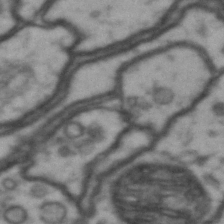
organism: Drosophila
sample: Brain